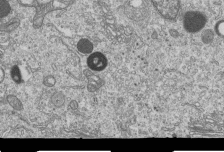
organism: Human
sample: MDA-MB-231 cells